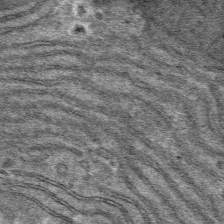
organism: Mouse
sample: Mouse hepatocytes